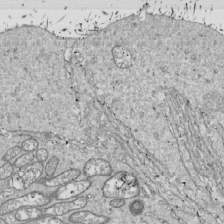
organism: Drosophila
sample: Cell division; meiosis; drosophila spermatocytes